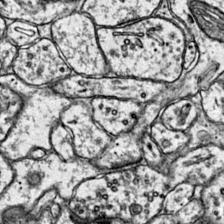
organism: Mouse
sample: Primary visual cortex